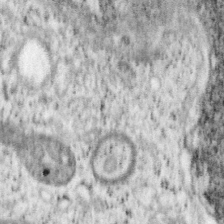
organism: Mouse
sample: OT-I killer T cells with ID8 ovarian cancer cells